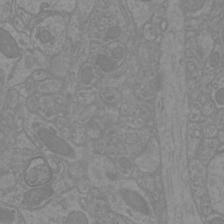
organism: Mouse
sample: Cortical neurons